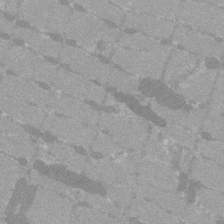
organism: C57BL Mouse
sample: Tibialis anterior muscle cell